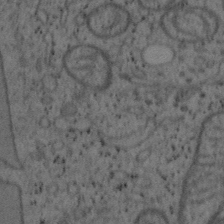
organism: Human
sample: HeLa cells